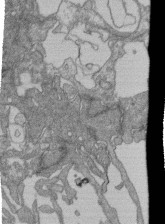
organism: Human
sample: Retinal organoid Rod and Cone cells